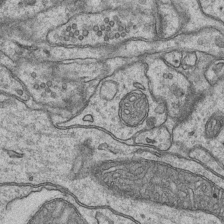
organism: Mouse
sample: CA1 Hippocampus